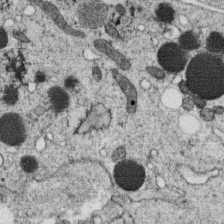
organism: C. elegans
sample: C. elegans oocyte; sperm cells